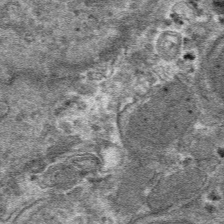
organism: Mouse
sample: Mouse hepatocytes